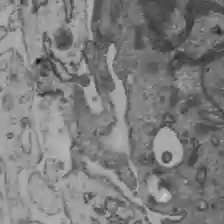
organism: C57BL Mouse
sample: Liver